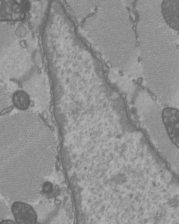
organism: C57BL Mouse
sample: Heart